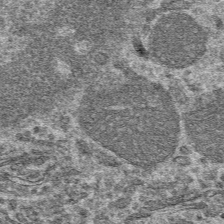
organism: Mouse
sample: Mouse hepatocytes